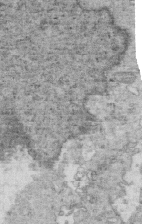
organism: Mouse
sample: Multiciliated cells